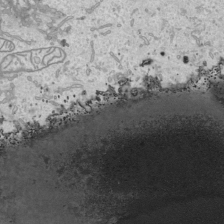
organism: Human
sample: Mitochondria in HCT116 cells